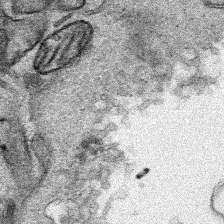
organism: Human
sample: Mitochondria in HCT116 cells